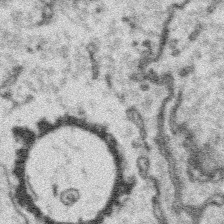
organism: Platynereis dumerilii